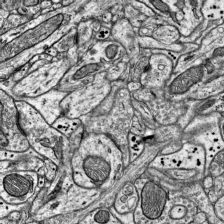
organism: Mouse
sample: Visual Cortex